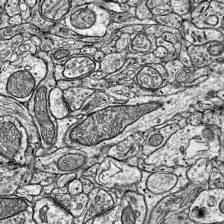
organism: Mouse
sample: Visual Cortex